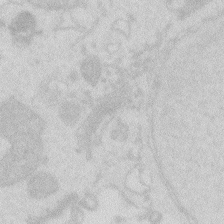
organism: Zebrafish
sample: Macrophage